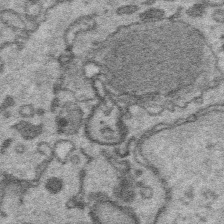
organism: Platynereis dumerilii